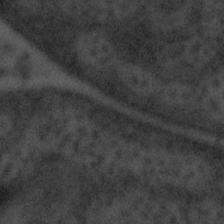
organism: Tuwongella immobilis